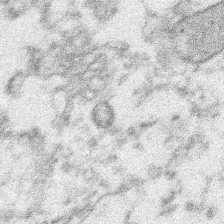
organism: Xenopus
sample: Cilia; centrioles in frog embryo cells